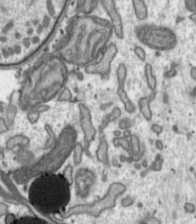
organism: Toxoplasma gondii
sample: Parasites in a vacuole inside a host cell